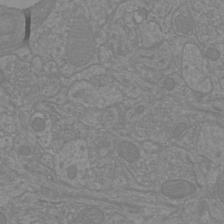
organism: Mouse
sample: Cortical neurons